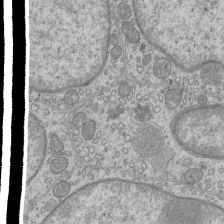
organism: Mouse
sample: Cilia; mouse epididymis